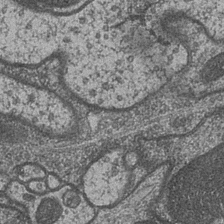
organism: Drosophila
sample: Optic medulla